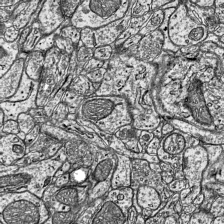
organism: Mouse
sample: Visual Cortex